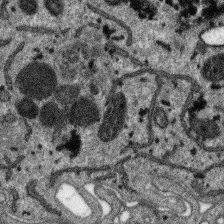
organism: Human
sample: Lung epithelial cells infected with SARS-CoV-2